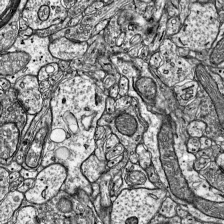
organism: Mouse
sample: Visual Cortex